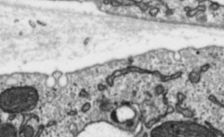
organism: Toxoplasma gondii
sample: Parasites in a vacuole inside a host cell